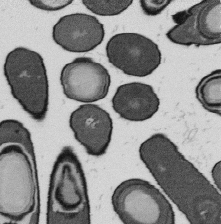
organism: B. subtilis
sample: Bacterial spore